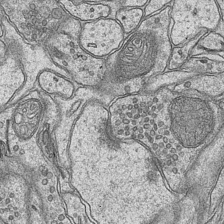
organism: Mouse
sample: CA1 Hippocampus